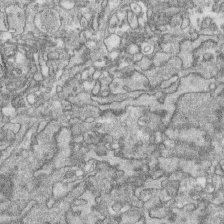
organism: Human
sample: CRL-1474